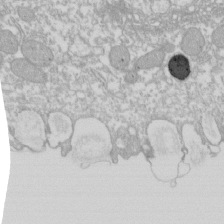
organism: Xenopus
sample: Cilia; centrioles in frog embryo cells